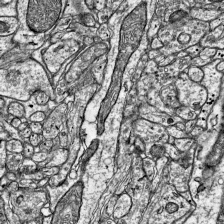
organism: Mouse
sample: Visual Cortex